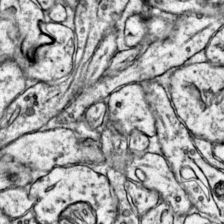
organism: Mouse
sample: Primary visual cortex